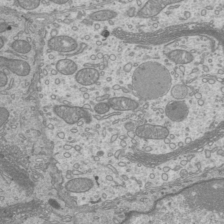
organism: Mouse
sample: Cilia; mouse epididymis